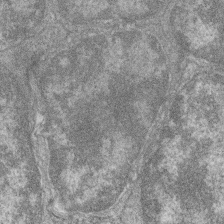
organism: Zebrafish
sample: Cilia; retinal pigment epithelium